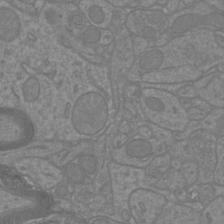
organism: Mouse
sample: Cortical neurons